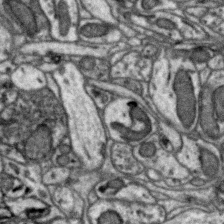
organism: Zebra finch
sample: Brain